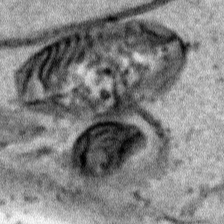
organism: Human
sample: Mitochondria in HCT116 cells